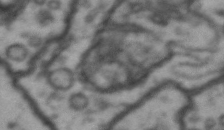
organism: Drosophila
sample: Brain